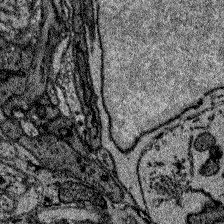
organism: Zebrafish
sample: Larval olfactory bulb